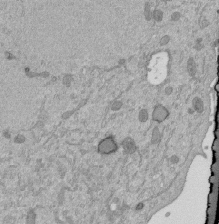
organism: Mouse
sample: ED-1 cell nuclei; centrioles